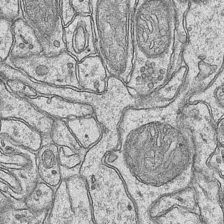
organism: Mouse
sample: CA1 Hippocampus